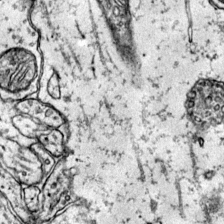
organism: Mouse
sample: Primary visual cortex